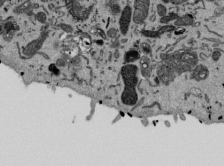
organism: Mouse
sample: ED-1 cell nuclei; centrioles